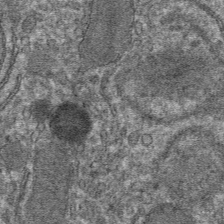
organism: Mouse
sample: Mouse hepatocytes